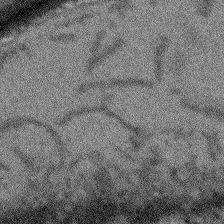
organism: Arabidopsis thaliana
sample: Root tip